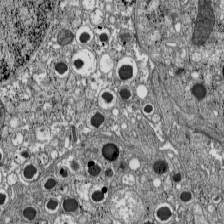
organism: C57BL Mouse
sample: Pancreatic islet